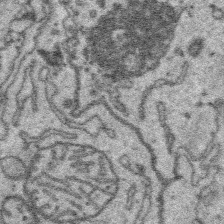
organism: Platynereis dumerilii